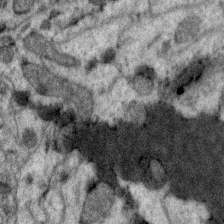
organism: Zebra finch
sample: Brain